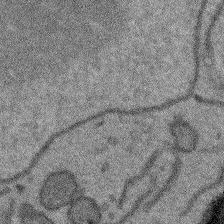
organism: Arabidopsis thaliana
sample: Root tip